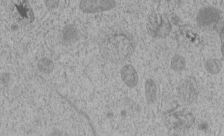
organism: C. elegans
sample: C. elegans embryo early stage